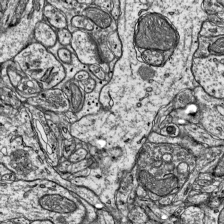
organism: Mouse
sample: Visual Cortex